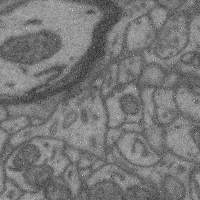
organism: Mouse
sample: Cerebral cortex